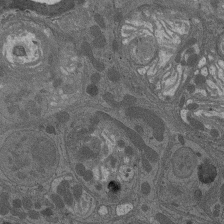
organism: Drosophila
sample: Antenna